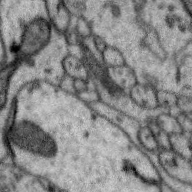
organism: Zebra finch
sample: Brain